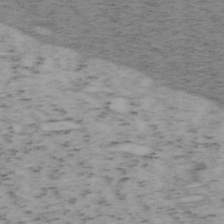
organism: Mouse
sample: OT-I killer T cells with ID8 ovarian cancer cells